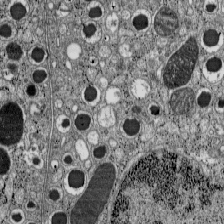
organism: C57BL Mouse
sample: Pancreatic islet